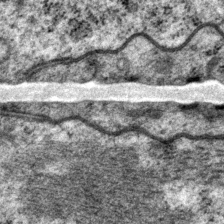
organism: P. pacificus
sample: Pharynx